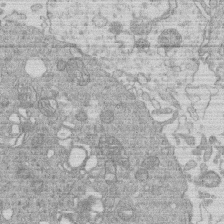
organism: Human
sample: Macrophage cells